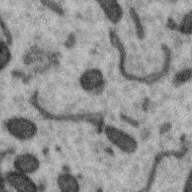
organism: Zebra finch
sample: Brain